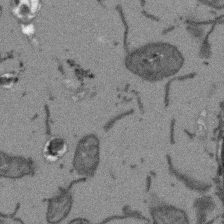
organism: Arabidopsis thaliana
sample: Root tip